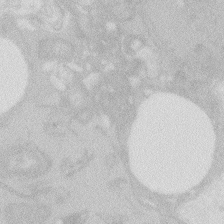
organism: Zebrafish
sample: Macrophage